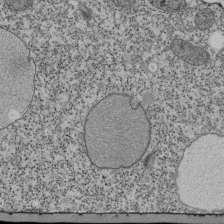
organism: Tetrahymena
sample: Cilia in tetrahymena